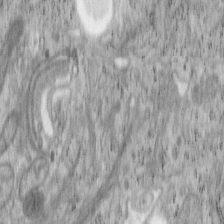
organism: Human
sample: HeLa cells